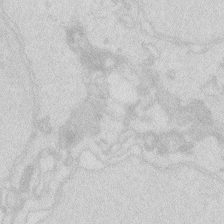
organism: Zebrafish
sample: Macrophage